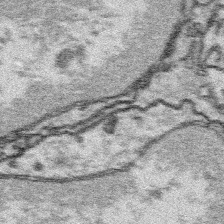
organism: Platynereis dumerilii